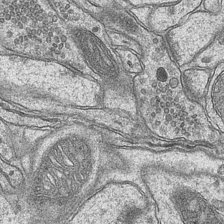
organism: Mouse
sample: CA1 Hippocampus